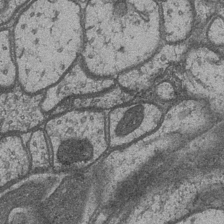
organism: Drosophila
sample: Optic medulla